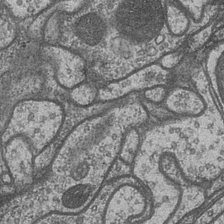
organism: Drosophila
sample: Optic medulla